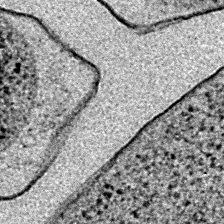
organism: E. coli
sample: E. Coli Bacteria